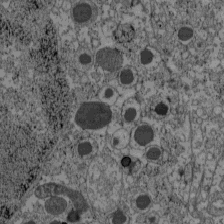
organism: C57BL Mouse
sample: Pancreatic islet